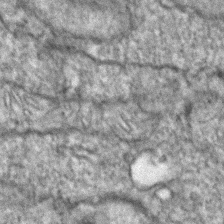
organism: Zebrafish